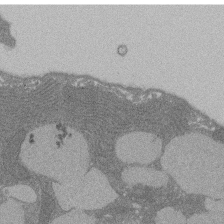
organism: Rat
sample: Salivary granule